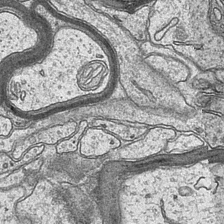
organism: Mouse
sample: CA1 Hippocampus